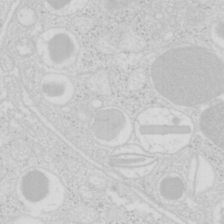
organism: Mouse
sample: Pancreas